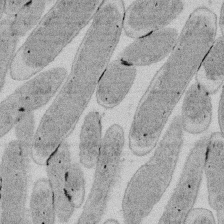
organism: E. coli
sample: Bacterial nucleoid